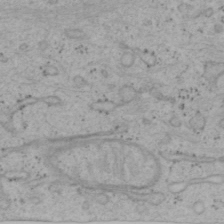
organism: Human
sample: HeLa cells